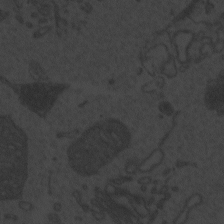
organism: Zebrafish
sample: Macrophage infected with Toxoplasma gondii